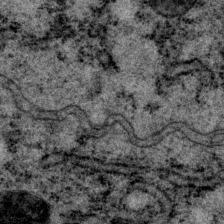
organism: P. pacificus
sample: Pharynx